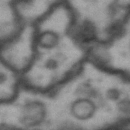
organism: Drosophila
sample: Brain